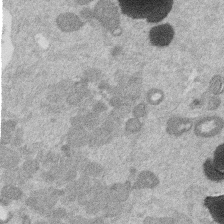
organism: Mouse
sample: Dividing mouse embryo 1 cell stage